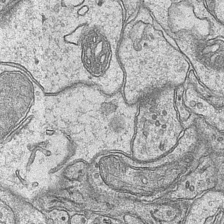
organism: Mouse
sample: CA1 Hippocampus